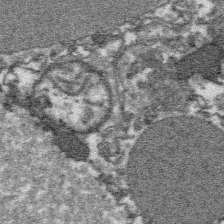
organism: Platynereis dumerilii